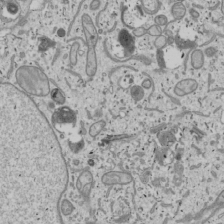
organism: Human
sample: Mitochondria in U2OS cells